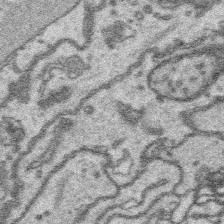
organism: Platynereis dumerilii